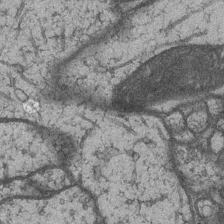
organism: Drosophila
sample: Optic medulla